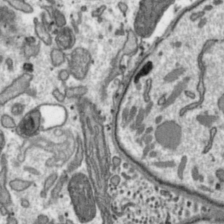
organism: Toxoplasma gondii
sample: Parasites in a vacuole inside a host cell